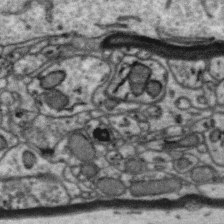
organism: Zebra finch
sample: Brain